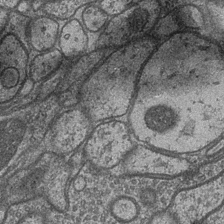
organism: Drosophila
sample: Optic medulla